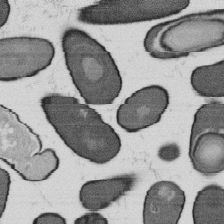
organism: B. subtilis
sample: Bacterial spore